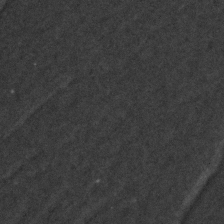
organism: Zebrafish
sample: Zebrafish embryo